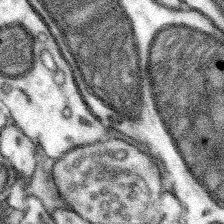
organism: Mouse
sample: Somatosensory cortex neuropil